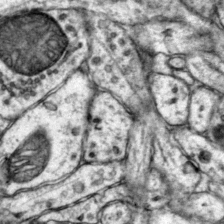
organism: Mouse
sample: Primary visual cortex